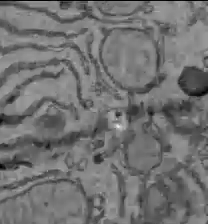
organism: C57BL Mouse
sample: Liver